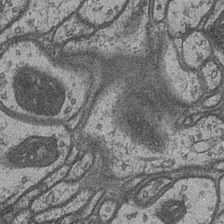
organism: Drosophila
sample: Optic medulla